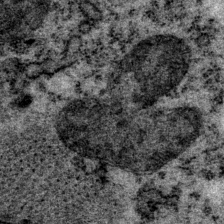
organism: P. pacificus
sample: Pharynx